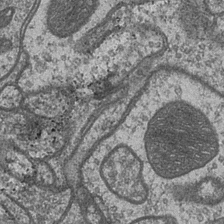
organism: Drosophila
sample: Optic medulla